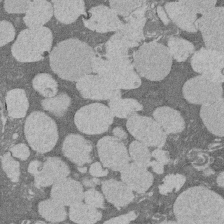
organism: Rat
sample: Salivary granule